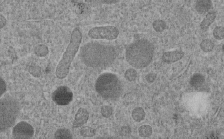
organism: C. elegans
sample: C. elegans embryo early stage